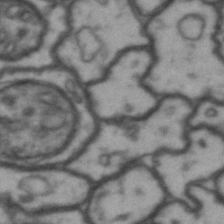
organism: Drosophila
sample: Brain